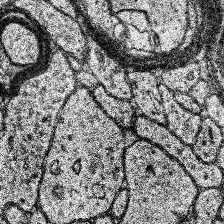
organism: Human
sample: Temporal Lobe